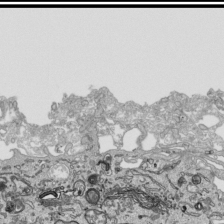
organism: Human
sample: Mitochondria in HCT116 cells